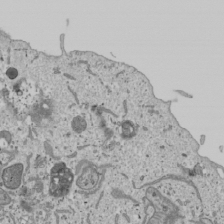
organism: Human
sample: Mitochondria in U2OS cells